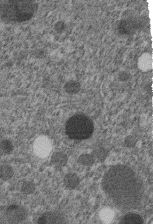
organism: C. elegans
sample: C. elegans embryo early stage